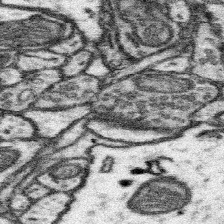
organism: Mouse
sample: Somatosensory cortex neuropil